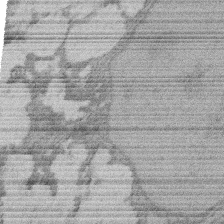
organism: Rat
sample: Salivary granule